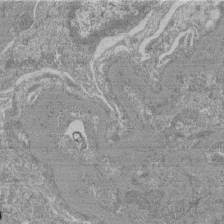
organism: Mouse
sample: Glomerulus